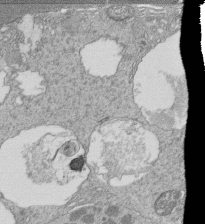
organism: Tetrahymena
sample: Cilia in tetrahymena